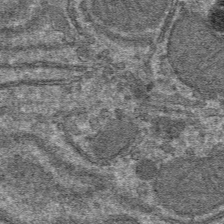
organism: Mouse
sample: Mouse hepatocytes